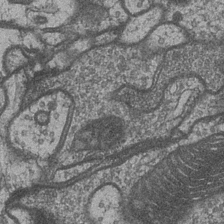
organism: Drosophila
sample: Optic medulla